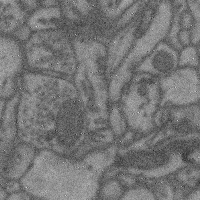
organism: Mouse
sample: Cerebral cortex